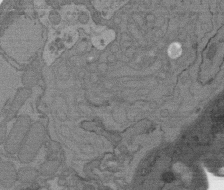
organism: C. elegans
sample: AFD neurons C. elegans